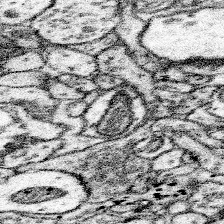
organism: Mouse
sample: Somatosensory cortex neuropil